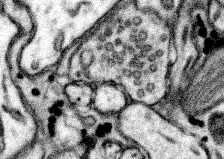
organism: Mouse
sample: Somatosensory cortex neuropil